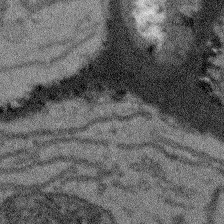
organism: Arabidopsis thaliana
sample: Root tip